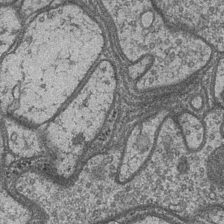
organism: Drosophila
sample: Optic medulla